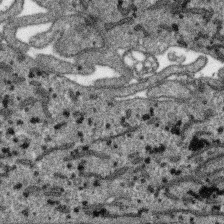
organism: Human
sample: Lung epithelial cells infected with SARS-CoV-2